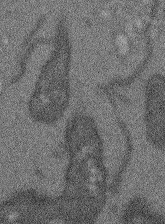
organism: Arabidopsis thaliana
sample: Root tip